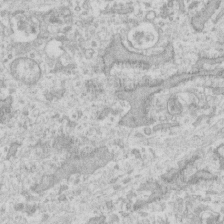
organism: Human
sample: Fibroblast cells